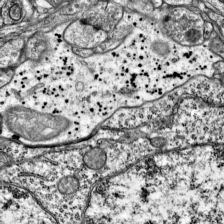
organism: Mouse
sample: Visual Cortex